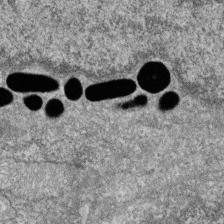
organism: Zebrafish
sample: Cilia; retinal pigment epithelium